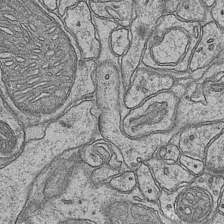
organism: Mouse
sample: CA1 Hippocampus